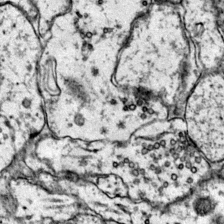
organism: Mouse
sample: Primary visual cortex